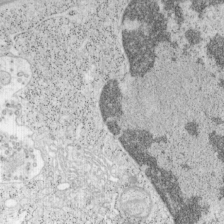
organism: Mouse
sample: OT-I killer T cells with ID8 ovarian cancer cells